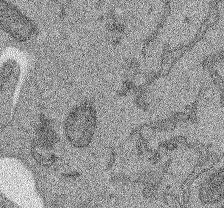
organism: Human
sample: HeLa cells